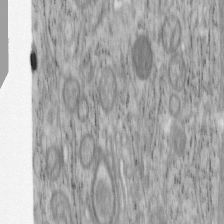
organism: Human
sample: HeLa cells